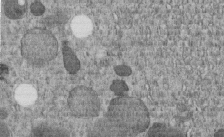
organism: C. elegans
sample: C. elegans embryo early stage